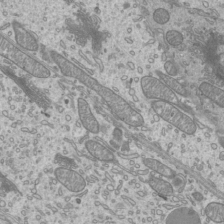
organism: Mouse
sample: Cilia; mouse epididymis